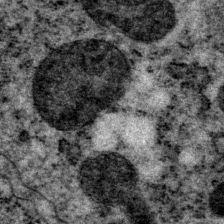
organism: P. pacificus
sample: Pharynx